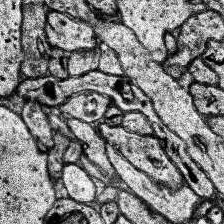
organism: Human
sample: Temporal Lobe